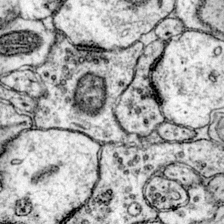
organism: Mouse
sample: Primary visual cortex